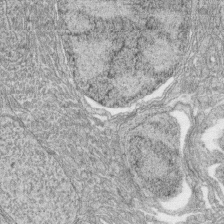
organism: Zebrafish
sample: synaptic ribbons in rod cells and cone cells